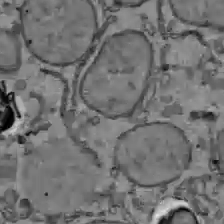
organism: C57BL Mouse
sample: Liver